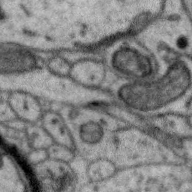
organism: Zebra finch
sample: Brain